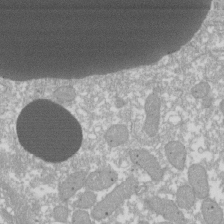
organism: Xenopus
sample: Cilia; centrioles in frog embryo cells